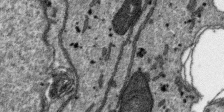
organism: Human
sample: Lung epithelial cells, uninfected (mock) control